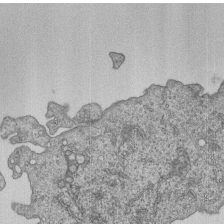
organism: Human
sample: MDA-MB-231 cells